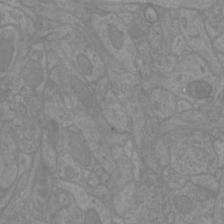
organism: Mouse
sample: Cortical neurons